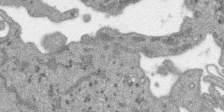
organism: Human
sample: Lung epithelial cells infected with SARS-CoV-2